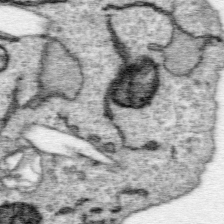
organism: Human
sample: HeLa cells